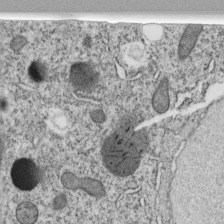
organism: C. elegans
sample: C. elegans embryo early stage